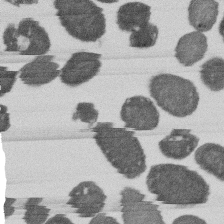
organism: E. coli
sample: Bacterial nucleoid